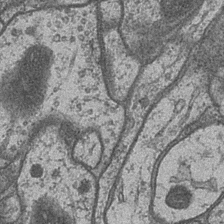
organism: Drosophila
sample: Optic medulla